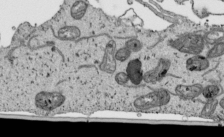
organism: Human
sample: Mitochondria in HCT116 cells